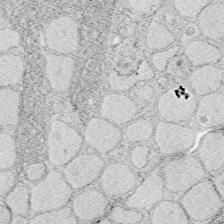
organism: Zebrafish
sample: Whole-Brain